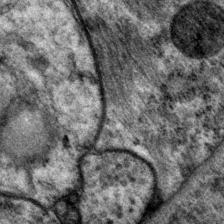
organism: P. pacificus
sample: Pharynx